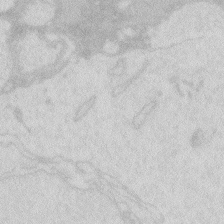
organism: Zebrafish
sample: Macrophage